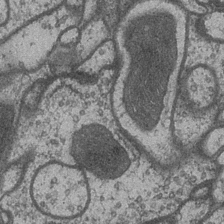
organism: Drosophila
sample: Optic medulla